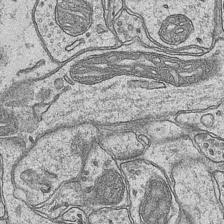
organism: Mouse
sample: CA1 Hippocampus